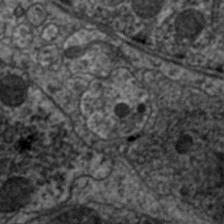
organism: C. elegans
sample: Pharynx